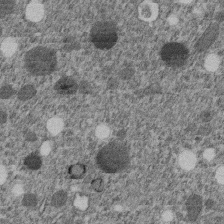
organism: C. elegans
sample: C. elegans embryo early stage